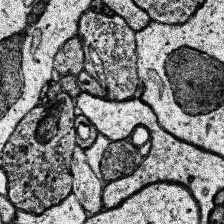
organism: Human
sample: Temporal Lobe